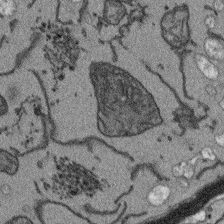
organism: Arabidopsis thaliana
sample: Root tip